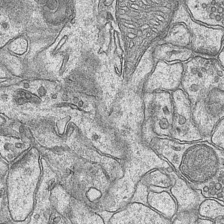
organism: Mouse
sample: CA1 Hippocampus